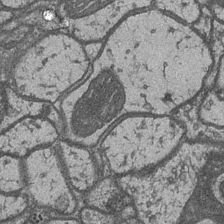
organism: Drosophila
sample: Optic medulla